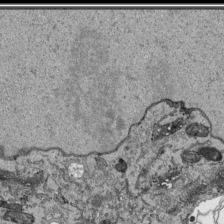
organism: Human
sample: Mitochondria in HCT116 cells